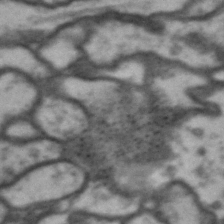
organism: Drosophila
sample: Brain